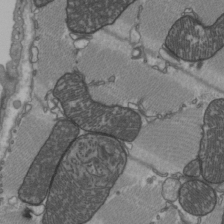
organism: C57BL Mouse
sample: Heart